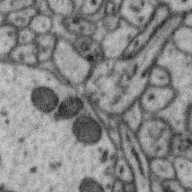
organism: Zebra finch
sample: Brain